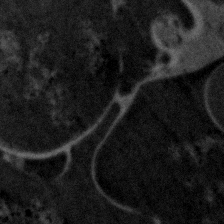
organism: Zebrafish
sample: Zebrafish embryo